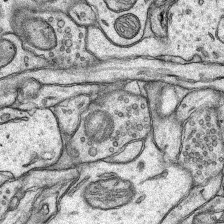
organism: Rat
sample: Hippocampus